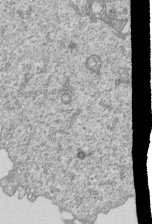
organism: Human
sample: MDA-MB-231 cells